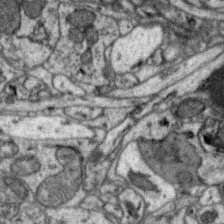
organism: Zebra finch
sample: Brain